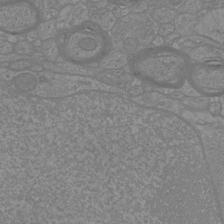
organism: Mouse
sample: Cortical neurons